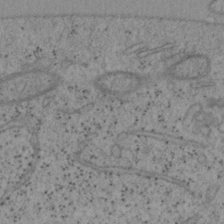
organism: Human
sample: HeLa cells